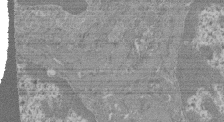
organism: Mouse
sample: Glomerulus